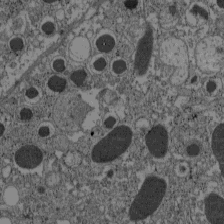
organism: C57BL Mouse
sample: Pancreatic islet